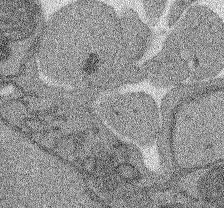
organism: Human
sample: HeLa cells